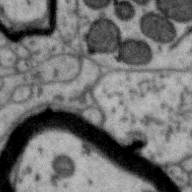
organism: Zebra finch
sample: Brain